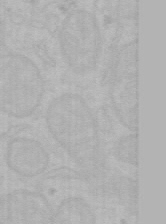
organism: Mouse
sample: Choroid plexus